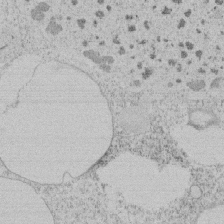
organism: Tetrahymena